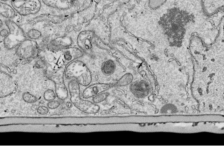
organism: Drosophila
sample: Cell division; meiosis; drosophila spermatocytes